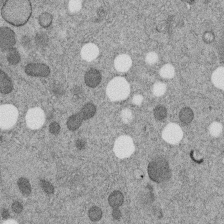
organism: C. elegans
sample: C. elegans embryo early stage